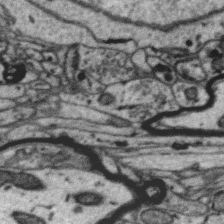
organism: Zebra finch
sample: Brain